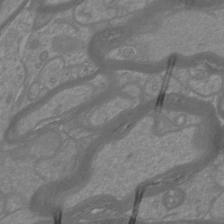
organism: Mouse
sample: Cortical neurons